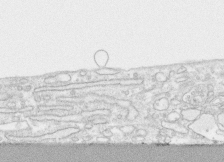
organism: Human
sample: CRL-1474